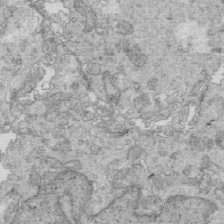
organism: Mouse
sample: Multiciliated cells